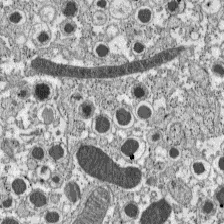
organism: C57BL Mouse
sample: Pancreatic islet